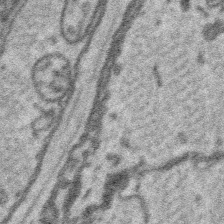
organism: Platynereis dumerilii